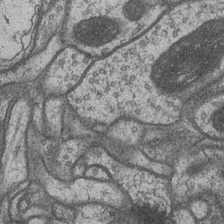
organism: Drosophila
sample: Optic medulla